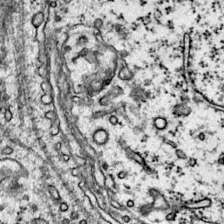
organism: Mouse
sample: Primary visual cortex